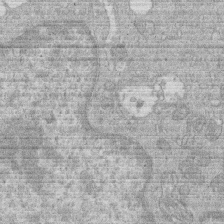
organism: Human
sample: Macrophage cells